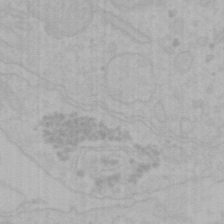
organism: Mouse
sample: Choroid plexus